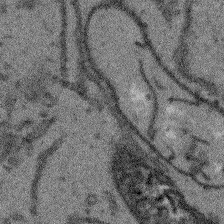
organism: Arabidopsis thaliana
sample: Root tip